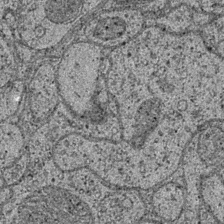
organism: Drosophila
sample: Optic medulla